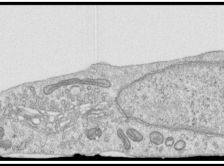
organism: Human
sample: Centriole in RPE cells